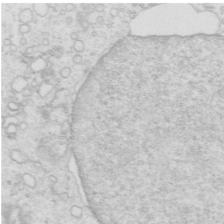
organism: Mouse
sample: Multiciliated cells